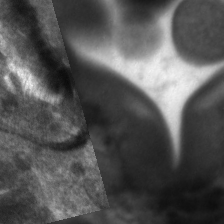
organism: C. elegans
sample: Pharynx